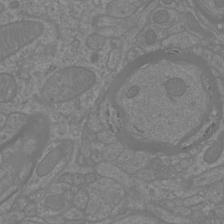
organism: Mouse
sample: Cortical neurons